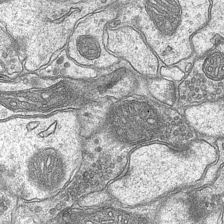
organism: Mouse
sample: CA1 Hippocampus